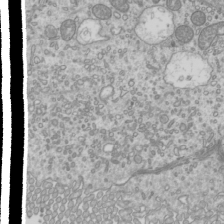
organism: Mouse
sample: Cilia; mouse epididymis